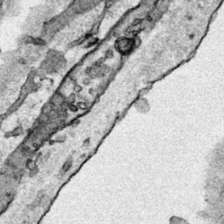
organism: Human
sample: Mitochondria in HCT116 cells